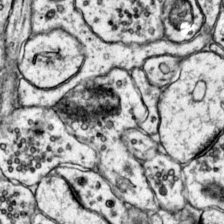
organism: Mouse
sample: Primary visual cortex